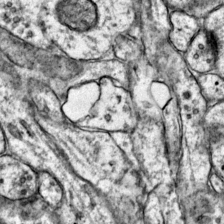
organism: Mouse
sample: Primary visual cortex